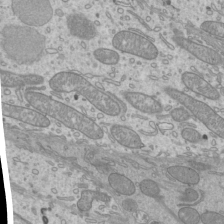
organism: Mouse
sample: Cilia; mouse epididymis